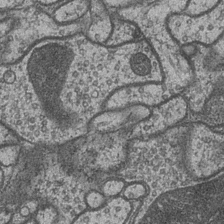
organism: Drosophila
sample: Optic medulla